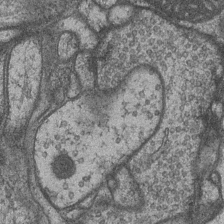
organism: Drosophila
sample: Optic medulla